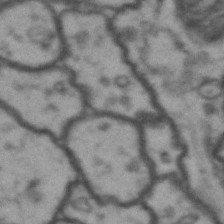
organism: Drosophila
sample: Brain